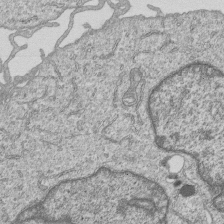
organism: Human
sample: MDA-MB-231 cells